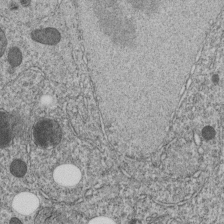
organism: C. elegans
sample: C. elegans embryo early stage